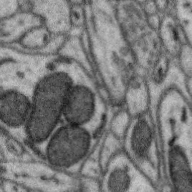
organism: Zebra finch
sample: Brain